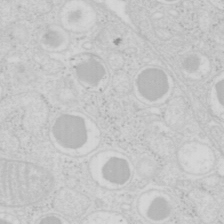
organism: Mouse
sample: Pancreas